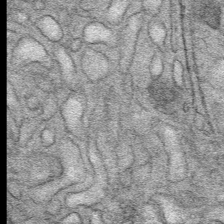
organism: Mouse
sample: Mouse Salivary gland